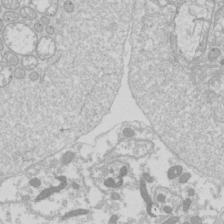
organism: Drosophila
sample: Cell division; meiosis; drosophila spermatocytes